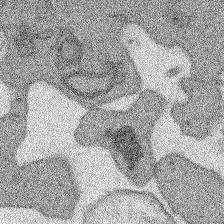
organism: Human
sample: HeLa cells